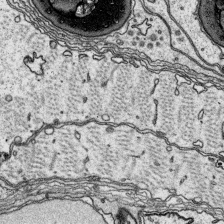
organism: Platynereis dumerilii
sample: Parapodia